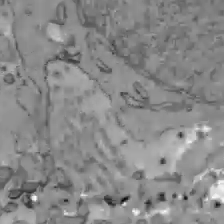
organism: C57BL Mouse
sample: Liver